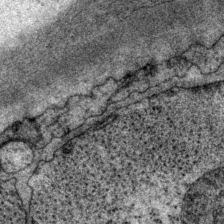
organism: P. pacificus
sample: Pharynx